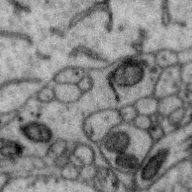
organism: Zebra finch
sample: Brain